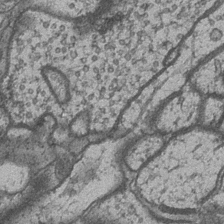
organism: Drosophila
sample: Optic medulla